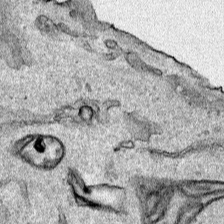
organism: Human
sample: Mitochondria in HCT116 cells